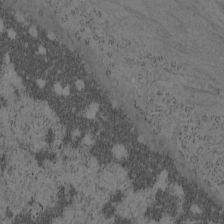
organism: Mouse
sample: OT-I killer T cells with ID8 ovarian cancer cells